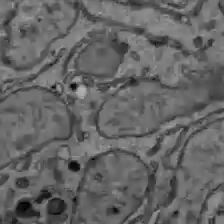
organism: C57BL Mouse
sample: Liver